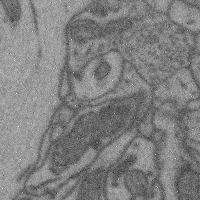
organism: Mouse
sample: Cerebral cortex